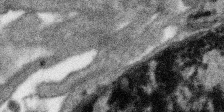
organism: Human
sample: Lung epithelial cells infected with SARS-CoV-2